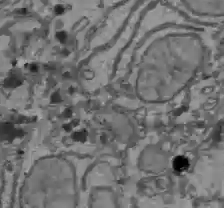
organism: C57BL Mouse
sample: Liver